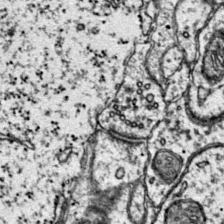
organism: Mouse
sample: Primary visual cortex